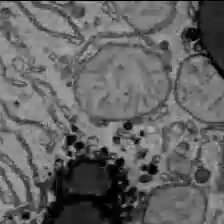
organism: C57BL Mouse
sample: Liver